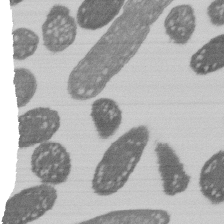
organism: E. coli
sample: Bacterial nucleoid